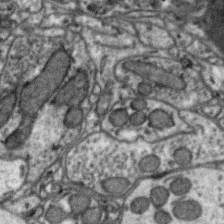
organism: Zebra finch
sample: Brain